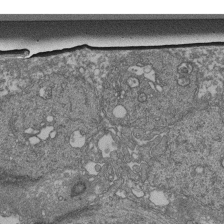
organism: Human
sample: Retinal organoid Rod and Cone cells